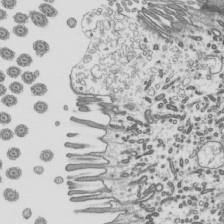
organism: Mouse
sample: Mouse epididymis efferent ductule cilia